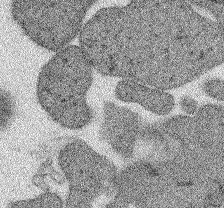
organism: Human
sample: HeLa cells